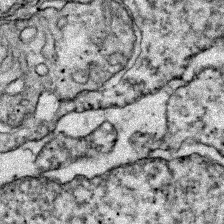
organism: Zebrafish